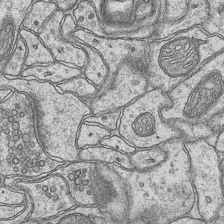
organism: Mouse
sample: CA1 Hippocampus